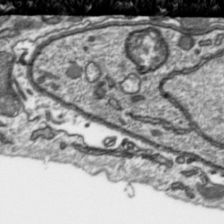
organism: Toxoplasma gondii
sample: Parasites in a vacuole inside a host cell